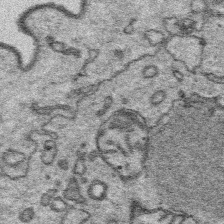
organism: Platynereis dumerilii